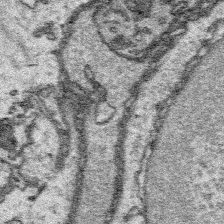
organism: Platynereis dumerilii